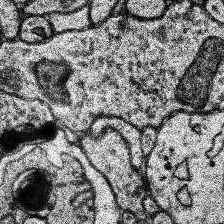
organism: Human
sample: Temporal Lobe